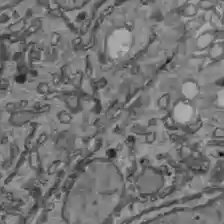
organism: C57BL Mouse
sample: Liver